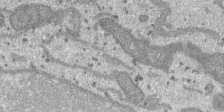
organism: Human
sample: Lung epithelial cells infected with SARS-CoV-2